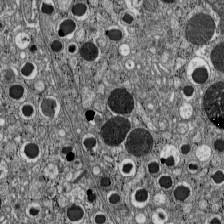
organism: C57BL Mouse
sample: Pancreatic islet